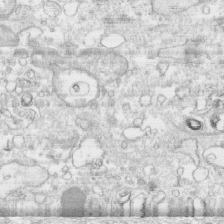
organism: Human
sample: CRL-1474